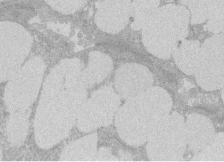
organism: Rat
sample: Salivary granule